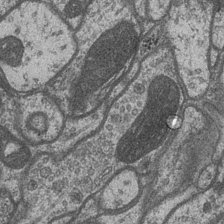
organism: Drosophila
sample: Optic medulla